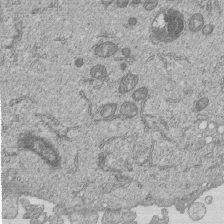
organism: Human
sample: MDA-MB-231 cells